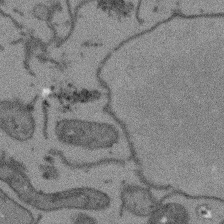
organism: Arabidopsis thaliana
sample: Root tip